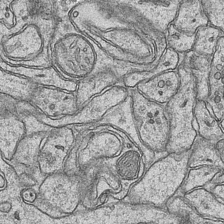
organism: Mouse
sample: CA1 Hippocampus